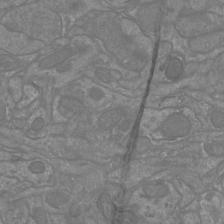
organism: Mouse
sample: Cortical neurons